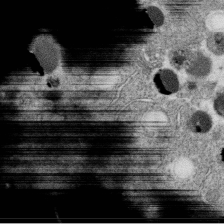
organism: C. elegans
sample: C. elegans oocyte; sperm cells